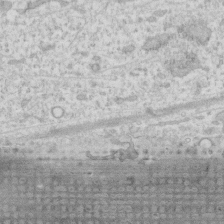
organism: Human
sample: Fibroblast cells